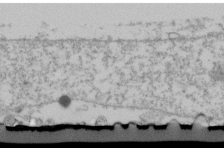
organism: Human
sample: U2-OS cells